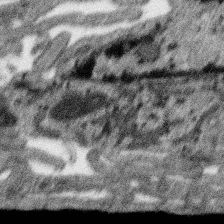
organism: Human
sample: Lung epithelial cells infected with SARS-CoV-2